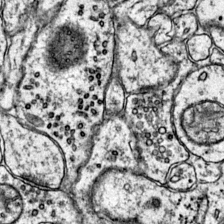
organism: Mouse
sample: Primary visual cortex